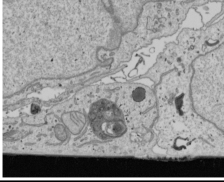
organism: Human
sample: Mitochondria in U2OS cells